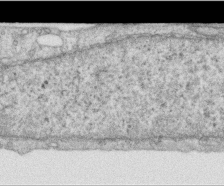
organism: Human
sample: Centriole in RPE cells